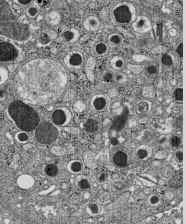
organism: C57BL Mouse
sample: Pancreatic islet